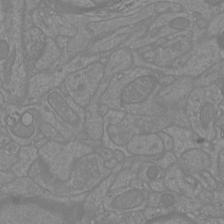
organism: Mouse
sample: Cortical neurons